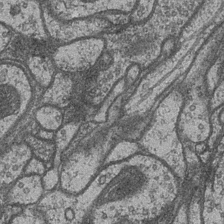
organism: Drosophila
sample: Optic medulla